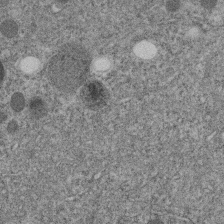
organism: C. elegans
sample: C. elegans embryo early stage